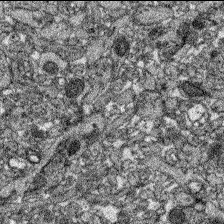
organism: Zebrafish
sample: Larval olfactory bulb